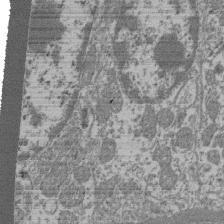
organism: Mouse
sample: Glomerulus